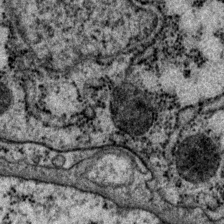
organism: P. pacificus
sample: Pharynx